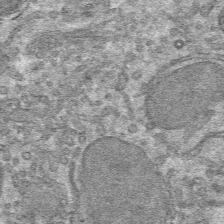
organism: Mouse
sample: Mouse hepatocytes